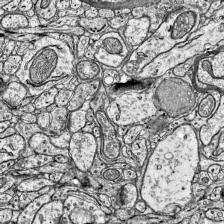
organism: Mouse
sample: Visual Cortex